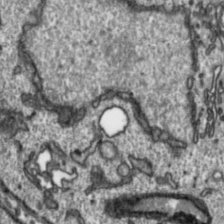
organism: Toxoplasma gondii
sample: Parasites in a vacuole inside a host cell